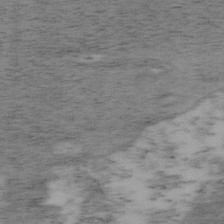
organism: Mouse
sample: OT-I killer T cells with ID8 ovarian cancer cells